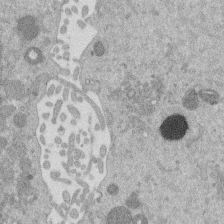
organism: Mouse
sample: Dividing mouse embryo 1 cell stage